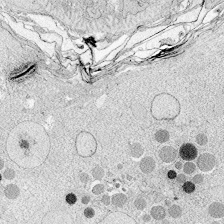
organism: Zebrafish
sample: Whole-Brain